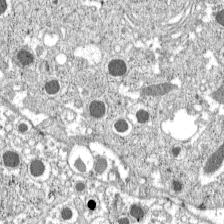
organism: C57BL Mouse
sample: Pancreatic islet